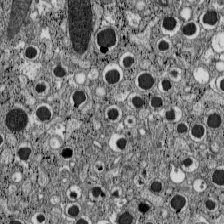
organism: C57BL Mouse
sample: Pancreatic islet